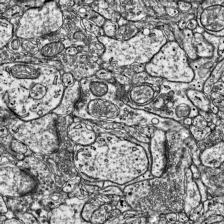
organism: Mouse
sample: Visual Cortex